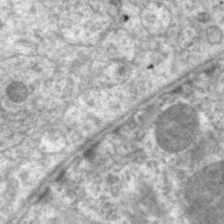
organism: C. elegans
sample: Pharynx